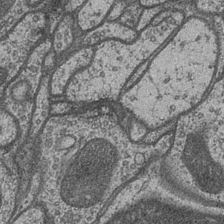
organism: Drosophila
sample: Optic medulla